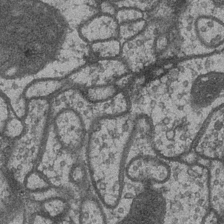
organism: Drosophila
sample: Optic medulla